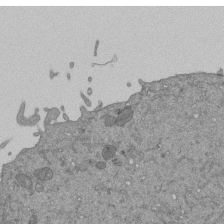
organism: Mouse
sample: ED-1 cell nuclei; centrioles